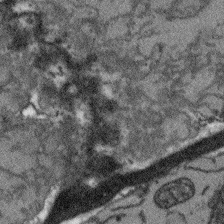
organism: Arabidopsis thaliana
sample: Root tip